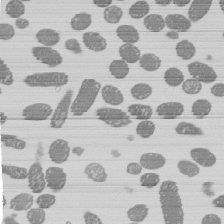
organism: E. coli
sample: Bacterial nucleoid